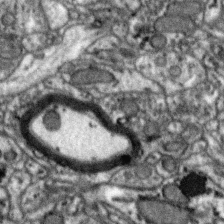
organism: Zebra finch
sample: Brain